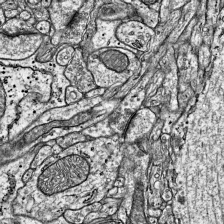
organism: Mouse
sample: Visual Cortex